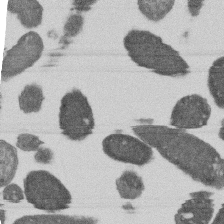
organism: E. coli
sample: Bacterial nucleoid